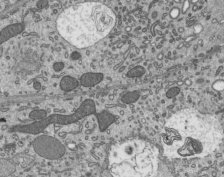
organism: Mouse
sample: Mouse epididymis efferent ductule cilia